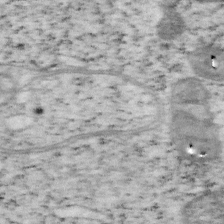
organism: Mouse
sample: OT-I killer T cells with ID8 ovarian cancer cells